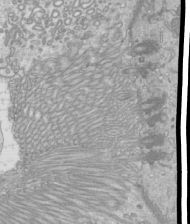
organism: Mouse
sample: Cilia; mouse epididymis